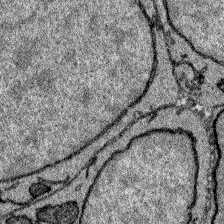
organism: Zebrafish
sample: Larval olfactory bulb